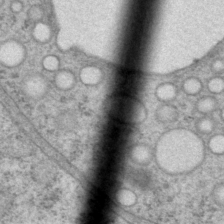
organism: P. pacificus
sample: Pharynx